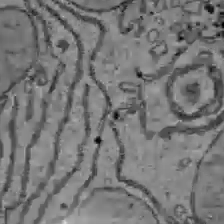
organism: C57BL Mouse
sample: Liver